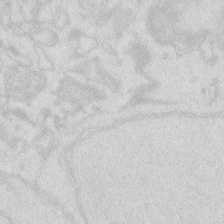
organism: Zebrafish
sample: Macrophage